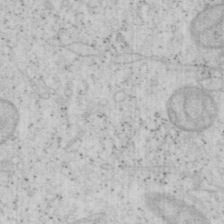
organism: Human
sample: HeLa cells